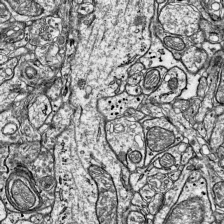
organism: Mouse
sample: Visual Cortex